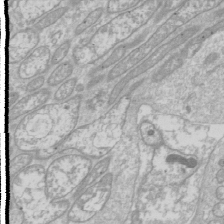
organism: Drosophila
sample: Cell division; meiosis; drosophila spermatocytes